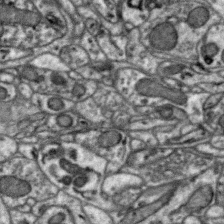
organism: Zebra finch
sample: Brain